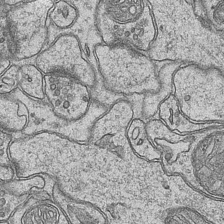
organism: Mouse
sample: CA1 Hippocampus